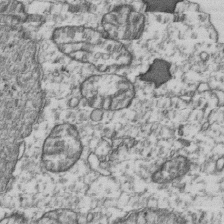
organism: Human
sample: Activated Jurkat CD4+ T cells